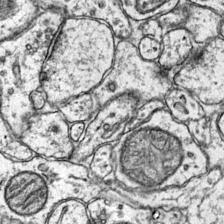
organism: Mouse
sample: Primary visual cortex